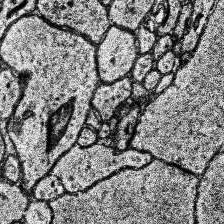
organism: Human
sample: Temporal Lobe